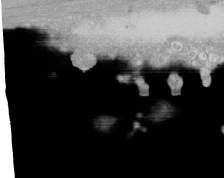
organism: Human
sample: CRL-1474